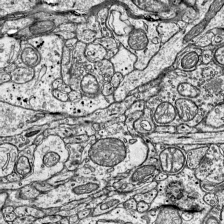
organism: Mouse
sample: Visual Cortex